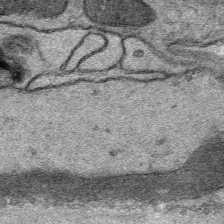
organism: Mouse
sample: Mouse Salivary gland